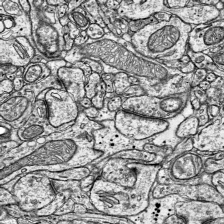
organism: Mouse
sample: Visual Cortex